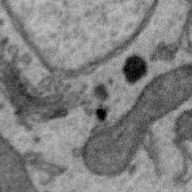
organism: Zebra finch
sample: Brain